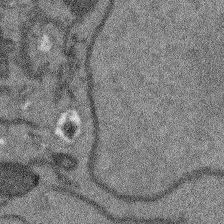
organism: Arabidopsis thaliana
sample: Root tip